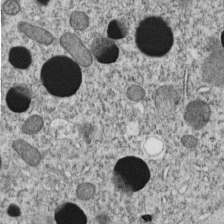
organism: C. elegans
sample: C. elegans embryo early stage